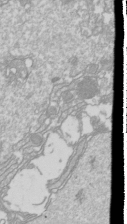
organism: Drosophila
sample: Cell division; meiosis; drosophila spermatocytes